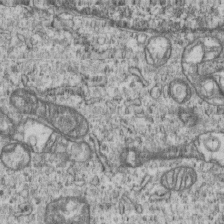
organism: Human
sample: MDA-MB-231 cells